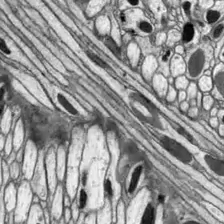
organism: Drosophila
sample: Optic lobe